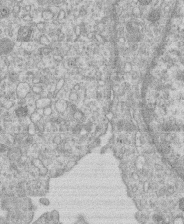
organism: Human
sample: Macrophage cells